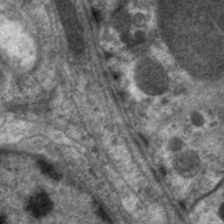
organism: C. elegans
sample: Pharynx